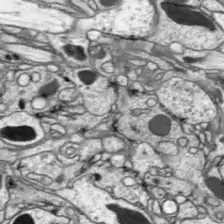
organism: Drosophila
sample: Optic lobe